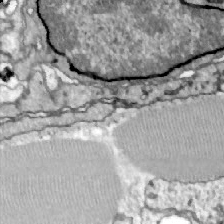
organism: Zebrafish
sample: Actinotrichia fibers